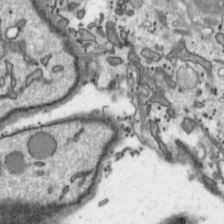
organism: Toxoplasma gondii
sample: Parasites in a vacuole inside a host cell